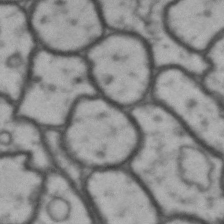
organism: Drosophila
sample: Brain